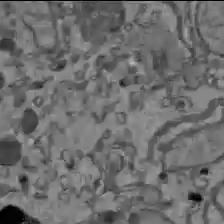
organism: C57BL Mouse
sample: Liver